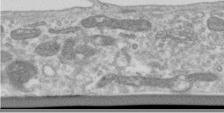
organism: Human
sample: Centriole in RPE cells